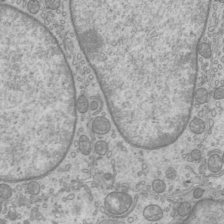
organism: Mouse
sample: Cilia; mouse epididymis